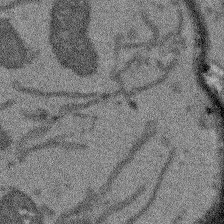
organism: Arabidopsis thaliana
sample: Root tip